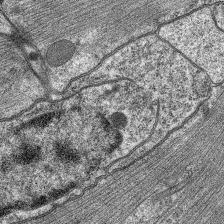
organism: C. elegans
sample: Pharynx